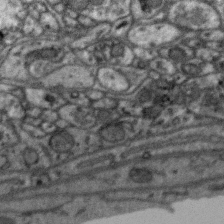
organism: Zebra finch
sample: Brain